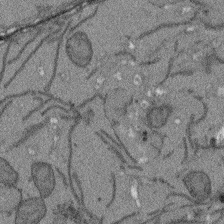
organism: Arabidopsis thaliana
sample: Root tip